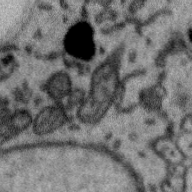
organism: Zebra finch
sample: Brain